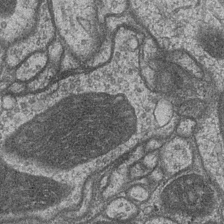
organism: Drosophila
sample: Optic medulla